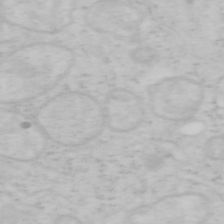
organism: Mouse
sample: OT-I killer T cells with ID8 ovarian cancer cells